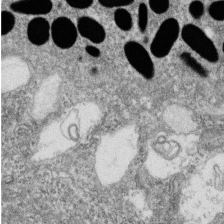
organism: Zebrafish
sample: Cilia; retinal pigment epithelium